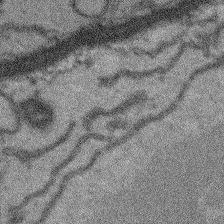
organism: Arabidopsis thaliana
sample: Root tip